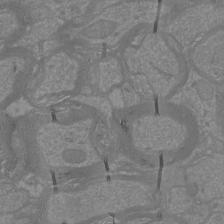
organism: Mouse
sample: Cortical neurons